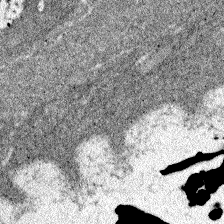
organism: Zebrafish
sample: Larval olfactory bulb